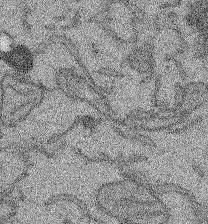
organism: Human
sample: HeLa cells